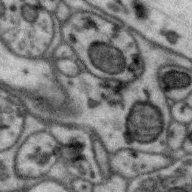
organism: Zebra finch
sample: Brain